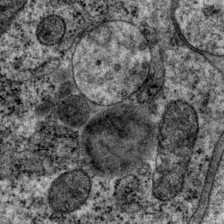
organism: P. pacificus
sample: Pharynx